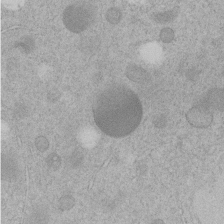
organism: C. elegans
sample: C. elegans embryo early stage